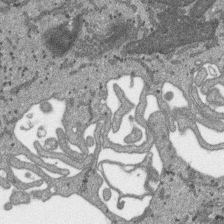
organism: Human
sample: Lung epithelial cells infected with SARS-CoV-2